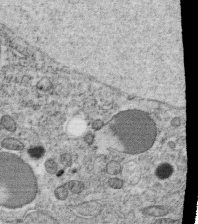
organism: C. elegans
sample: C. elegans oocyte; sperm cells